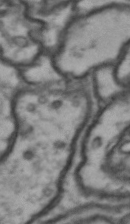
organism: Drosophila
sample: Brain